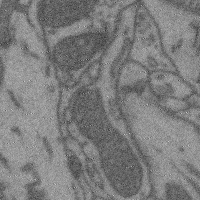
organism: Mouse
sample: Cerebral cortex